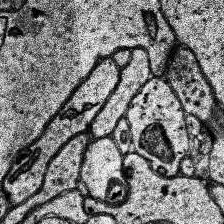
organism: Human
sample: Temporal Lobe